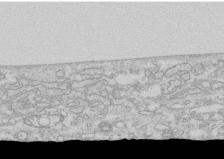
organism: Human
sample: CRL-1474